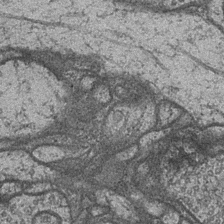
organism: Drosophila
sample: Optic medulla